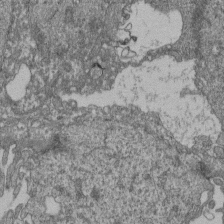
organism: Human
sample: Retinal organoid Rod and Cone cells